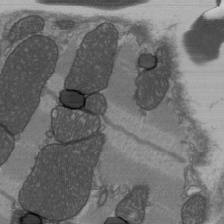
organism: C57BL Mouse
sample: Heart